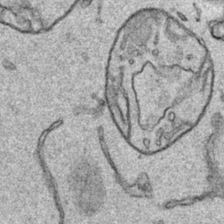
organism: Human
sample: Mitochondria in HCT116 cells